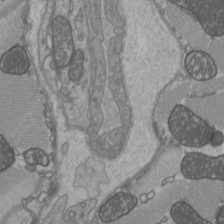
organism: C57BL Mouse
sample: Heart